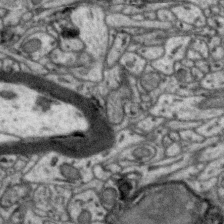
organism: Zebra finch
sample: Brain